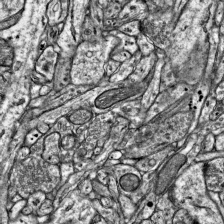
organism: Mouse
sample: Visual Cortex